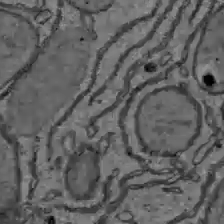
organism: C57BL Mouse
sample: Liver